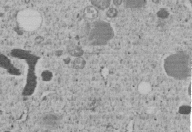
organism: C. elegans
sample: C. elegans embryo early stage